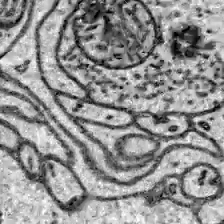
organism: Zebrafish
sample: Brain